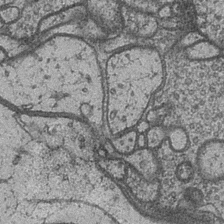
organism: Drosophila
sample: Optic medulla